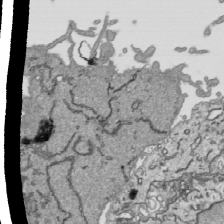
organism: Human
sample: Mitochondria in HCT116 cells